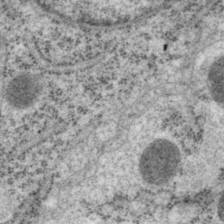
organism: P. pacificus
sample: Pharynx